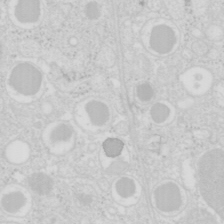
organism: Mouse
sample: Pancreas